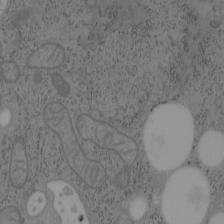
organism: Mouse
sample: OT-I killer T cells with ID8 ovarian cancer cells